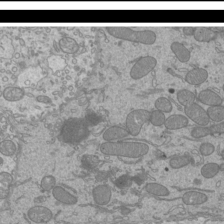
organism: Mouse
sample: Cilia; mouse epididymis